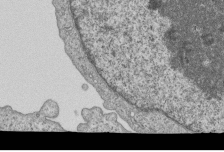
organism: Human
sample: MDA-MB-231 cells